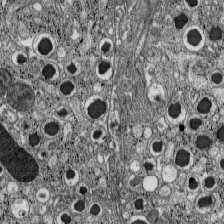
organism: C57BL Mouse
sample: Pancreatic islet